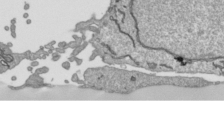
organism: Human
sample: Mitochondria in HCT116 cells